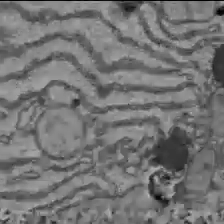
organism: C57BL Mouse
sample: Liver